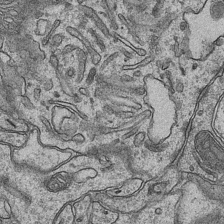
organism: Mouse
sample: CA1 Hippocampus